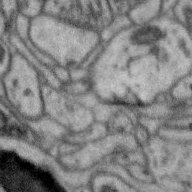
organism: Zebra finch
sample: Brain